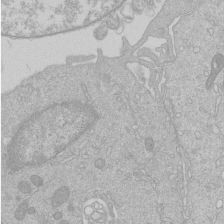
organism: Human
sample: Macrophage cells